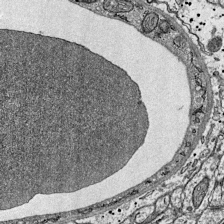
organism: Mouse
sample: Visual Cortex